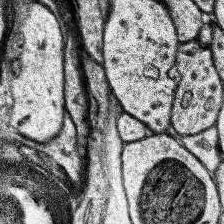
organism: Human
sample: Temporal Lobe